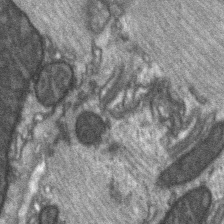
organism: C57BL Mouse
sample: Soleus